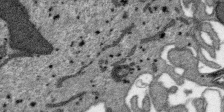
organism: Human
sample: Lung epithelial cells, uninfected (mock) control